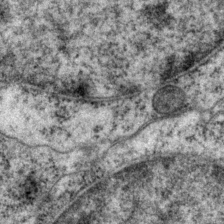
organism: P. pacificus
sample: Pharynx